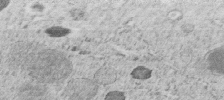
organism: C. elegans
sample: C. elegans embryo early stage